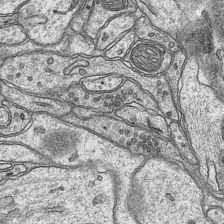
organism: Mouse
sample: CA1 Hippocampus